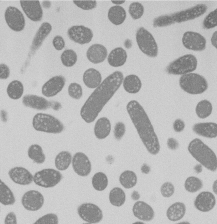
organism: E. coli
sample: Bacterial nucleoid